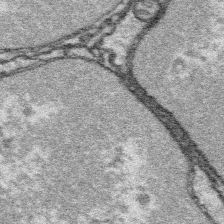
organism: Platynereis dumerilii